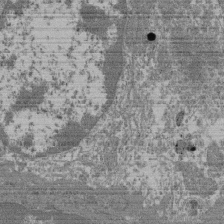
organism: Mouse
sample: Glomerulus